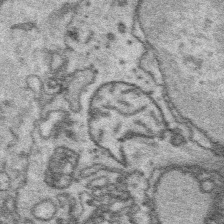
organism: Platynereis dumerilii